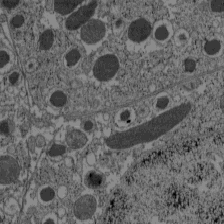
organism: C57BL Mouse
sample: Pancreatic islet